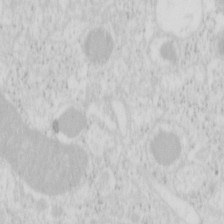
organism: Mouse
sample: Pancreas